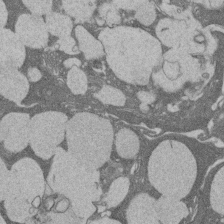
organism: Rat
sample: Salivary granule